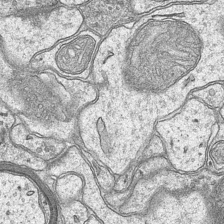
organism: Mouse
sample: CA1 Hippocampus